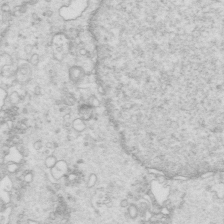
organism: Mouse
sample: Multiciliated cells